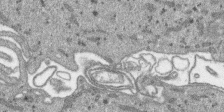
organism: Human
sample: Lung epithelial cells infected with SARS-CoV-2